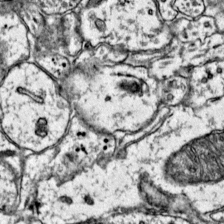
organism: Mouse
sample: Primary visual cortex